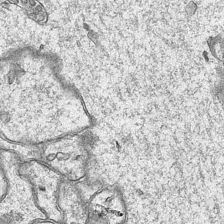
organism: Mouse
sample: CA1 Hippocampus